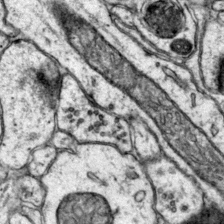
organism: Mouse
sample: Primary visual cortex